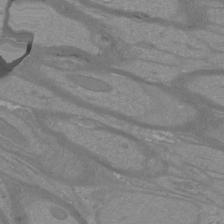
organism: Mouse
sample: Cortical neurons